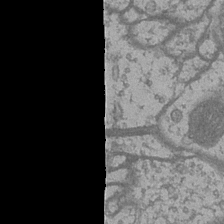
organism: Drosophila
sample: Optic medulla